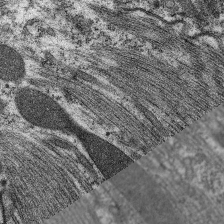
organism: C. elegans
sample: Pharynx